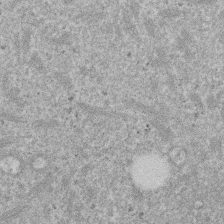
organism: Mouse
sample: Dividing mouse embryo 1 cell stage